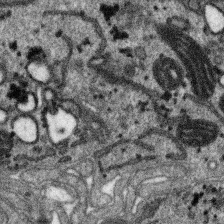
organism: Human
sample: Lung epithelial cells infected with SARS-CoV-2